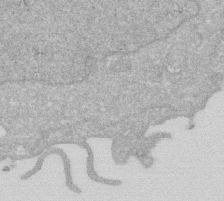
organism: Human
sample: HIV infected U937 cells